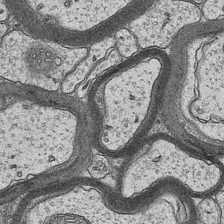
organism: Mouse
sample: CA1 Hippocampus